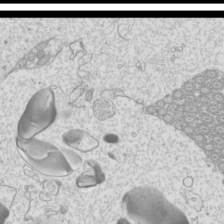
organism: Mouse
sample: Cilia; mouse epididymis